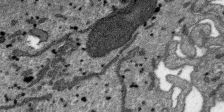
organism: Human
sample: Lung epithelial cells, uninfected (mock) control